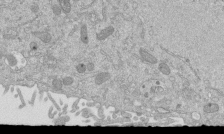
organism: Mouse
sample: ED-1 cell nuclei; centrioles